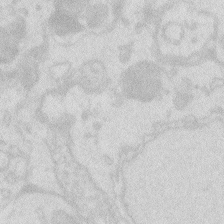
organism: Zebrafish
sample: Macrophage